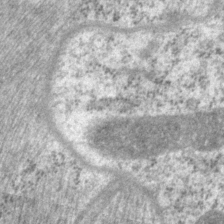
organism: P. pacificus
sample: Pharynx